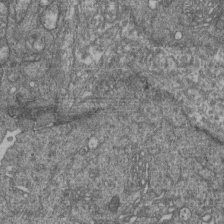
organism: Human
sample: Retinal organoid Rod and Cone cells